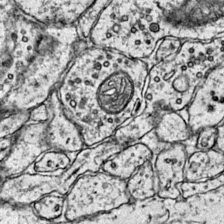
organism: Mouse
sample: Primary visual cortex